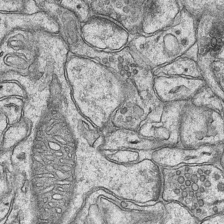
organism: Mouse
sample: CA1 Hippocampus